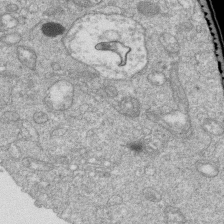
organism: Human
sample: HeLa cell HIV synapse